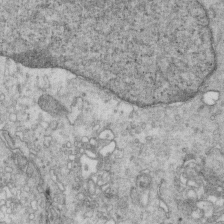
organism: Mouse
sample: Multiciliated cells